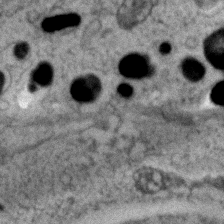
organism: Zebrafish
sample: Zebrafish embryo